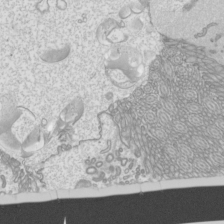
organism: Mouse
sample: Cilia; mouse epididymis